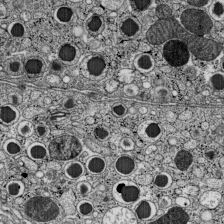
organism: C57BL Mouse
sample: Pancreatic islet